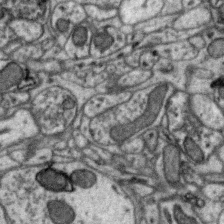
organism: Zebra finch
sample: Brain